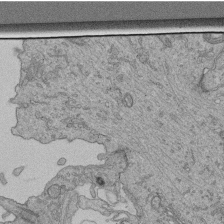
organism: Human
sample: Retinal organoid Rod and Cone cells